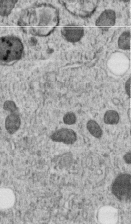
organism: C. elegans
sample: C. elegans embryo early stage